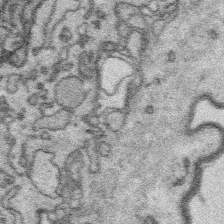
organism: Platynereis dumerilii